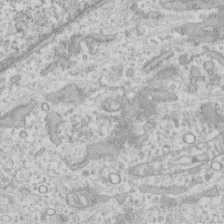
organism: Human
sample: CRL-1474